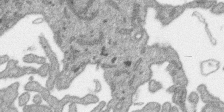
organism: Human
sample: Lung epithelial cells infected with SARS-CoV-2